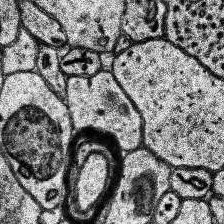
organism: Human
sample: Temporal Lobe